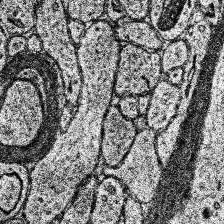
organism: Human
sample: Temporal Lobe